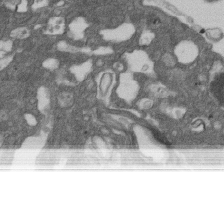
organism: Drosophila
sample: Nephrocyte